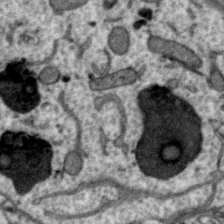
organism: Zebra finch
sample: Brain